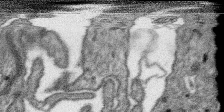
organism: Human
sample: Lung epithelial cells infected with SARS-CoV-2